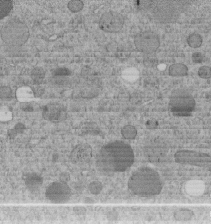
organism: C. elegans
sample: C. elegans embryo early stage